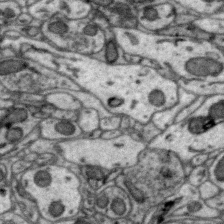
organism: Zebra finch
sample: Brain